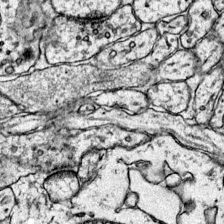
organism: Mouse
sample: Primary visual cortex